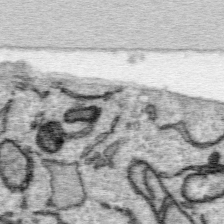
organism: Human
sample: HeLa cells